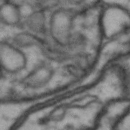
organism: Drosophila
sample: Brain